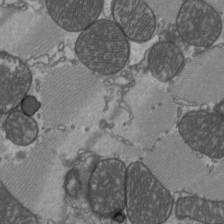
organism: C57BL Mouse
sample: Heart